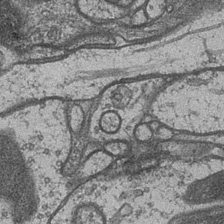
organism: Drosophila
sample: Optic medulla